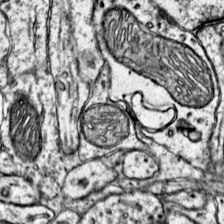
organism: Mouse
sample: Primary visual cortex